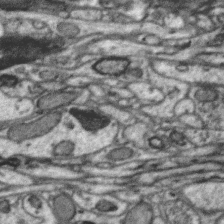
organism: Zebra finch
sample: Brain